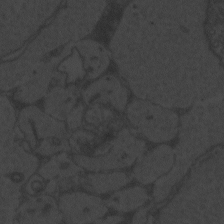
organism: Zebrafish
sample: Macrophage infected with Toxoplasma gondii